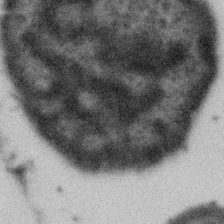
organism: Gemmata obscuriglobus